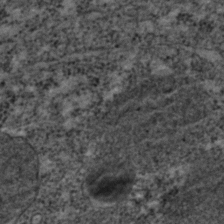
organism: C. elegans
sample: C. elegans embryo